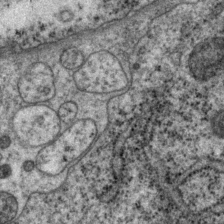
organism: P. pacificus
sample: Pharynx